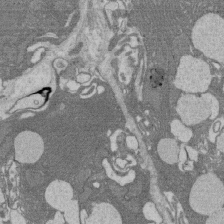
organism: Rat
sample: Salivary granule